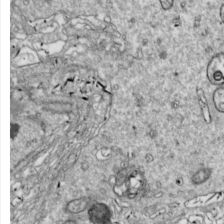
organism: Drosophila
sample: Cell division; meiosis; drosophila spermatocytes